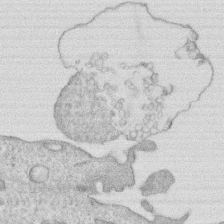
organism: Human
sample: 1205lu cells